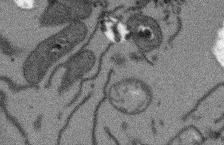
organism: Arabidopsis thaliana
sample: Root tip